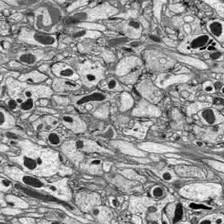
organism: Drosophila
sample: Optic lobe